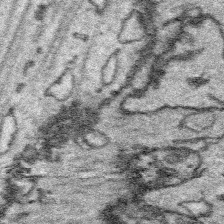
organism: Platynereis dumerilii